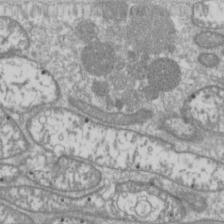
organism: Drosophila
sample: Cell division; meiosis; drosophila spermatocytes